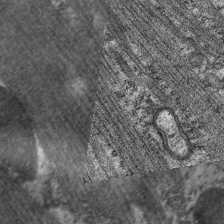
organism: C. elegans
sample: Pharynx